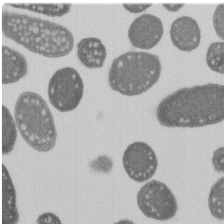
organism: E. coli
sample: Bacterial nucleoid